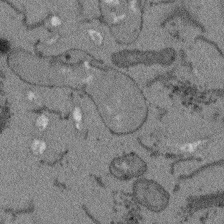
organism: Arabidopsis thaliana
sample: Root tip